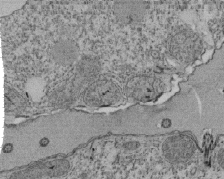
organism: Tetrahymena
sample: Cilia in tetrahymena